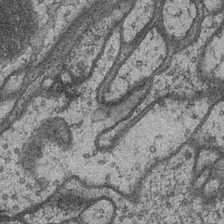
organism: Drosophila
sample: Optic medulla